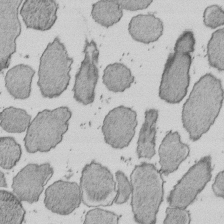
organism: E. coli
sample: Bacterial nucleoid